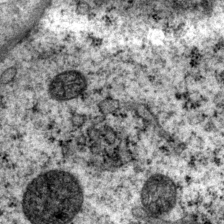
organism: P. pacificus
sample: Pharynx